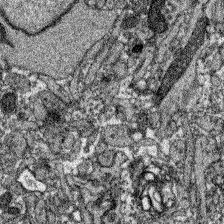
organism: Zebrafish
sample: Larval olfactory bulb